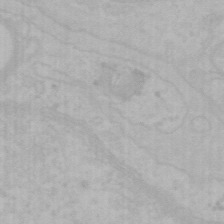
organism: Mouse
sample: Choroid plexus